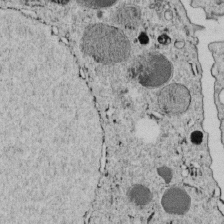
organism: C. elegans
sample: C. elegans embryo early stage